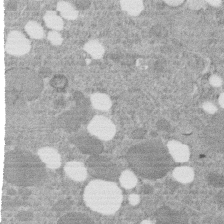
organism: C. elegans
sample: C. elegans embryo early stage